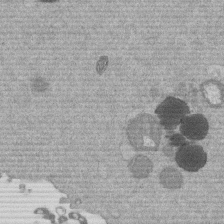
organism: Mouse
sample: Dividing mouse embryo 1 cell stage